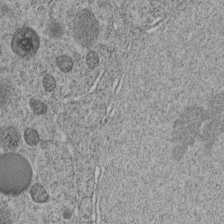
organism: C. elegans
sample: C. elegans embryo early stage